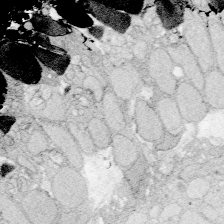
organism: Zebrafish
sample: Whole-Brain